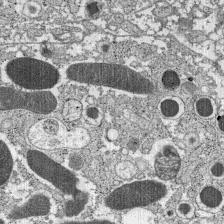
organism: C57BL Mouse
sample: Pancreatic islet